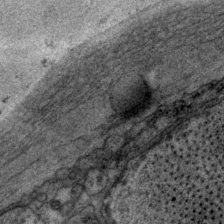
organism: P. pacificus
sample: Pharynx